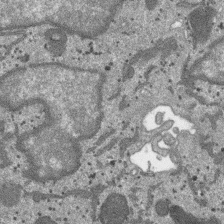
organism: Human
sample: Lung epithelial cells infected with SARS-CoV-2